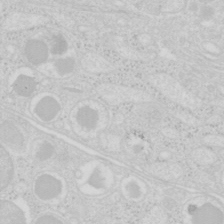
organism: Mouse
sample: Pancreas